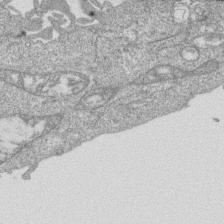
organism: Human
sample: HeLa cell HIV synapse